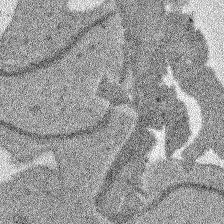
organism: Human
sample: HeLa cells